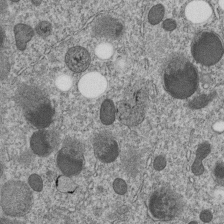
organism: C. elegans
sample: C. elegans embryo early stage